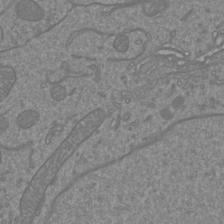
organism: Mouse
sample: Cortical neurons